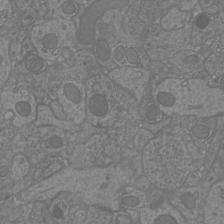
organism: Mouse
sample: Cortical neurons